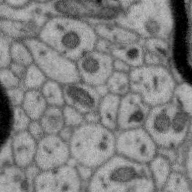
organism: Zebra finch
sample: Brain